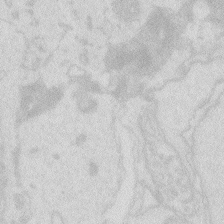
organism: Zebrafish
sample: Macrophage